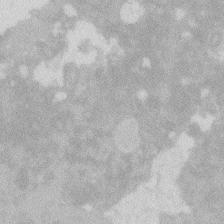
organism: Zebrafish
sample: Macrophage